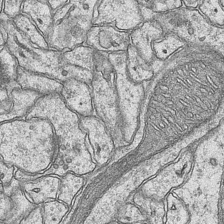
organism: Mouse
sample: CA1 Hippocampus